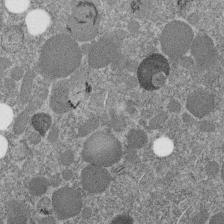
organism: C. elegans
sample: C. elegans embryo early stage